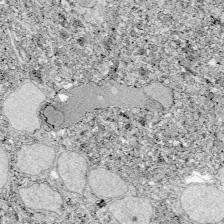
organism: Zebrafish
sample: Whole-Brain